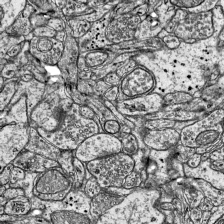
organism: Mouse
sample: Visual Cortex